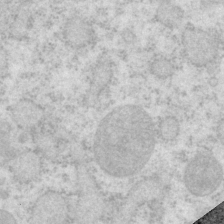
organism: P. pacificus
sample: Pharynx